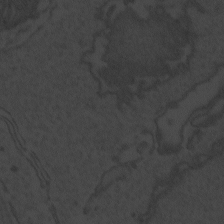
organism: Zebrafish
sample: Macrophage infected with Toxoplasma gondii